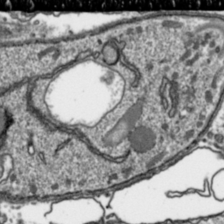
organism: Toxoplasma gondii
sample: Parasites in a vacuole inside a host cell